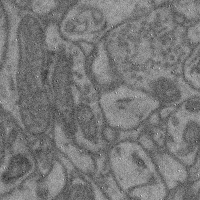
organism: Mouse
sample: Cerebral cortex